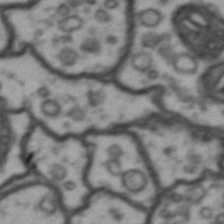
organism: Drosophila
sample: Brain